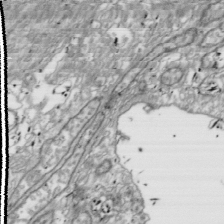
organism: Drosophila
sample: Cell division; meiosis; drosophila spermatocytes